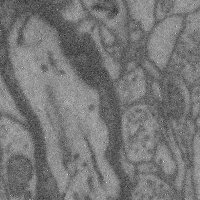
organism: Mouse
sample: Cerebral cortex